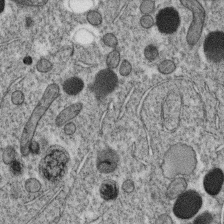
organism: C. elegans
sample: C. elegans oocyte; sperm cells